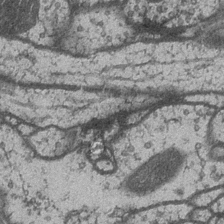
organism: Drosophila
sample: Optic medulla